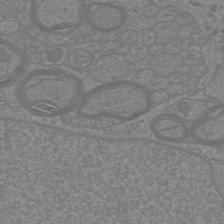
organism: Mouse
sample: Cortical neurons